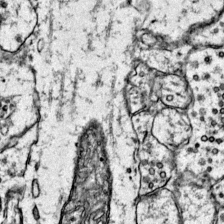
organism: Mouse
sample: Primary visual cortex